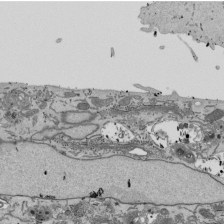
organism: Mouse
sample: ED-1 cell nuclei; centrioles